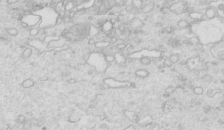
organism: Mouse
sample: Multiciliated cells